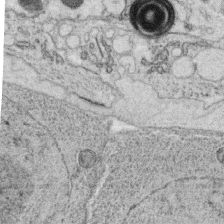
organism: C. elegans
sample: C. elegans oocyte; sperm cells